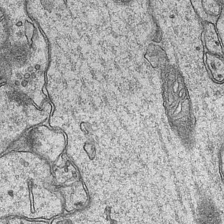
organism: Mouse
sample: CA1 Hippocampus